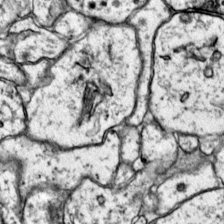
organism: Mouse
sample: Primary visual cortex